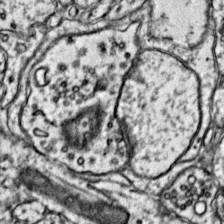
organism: Mouse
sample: Primary visual cortex